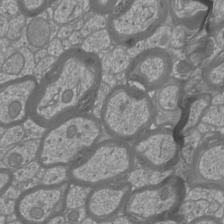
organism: Mouse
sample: Cortical neurons